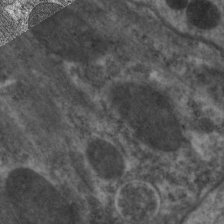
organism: C. elegans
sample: Pharynx